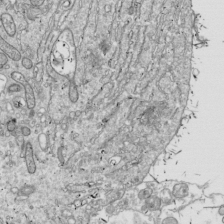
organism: Drosophila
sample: Cell division; meiosis; drosophila spermatocytes